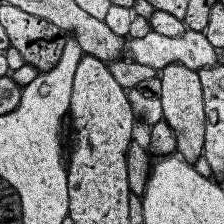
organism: Human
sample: Temporal Lobe